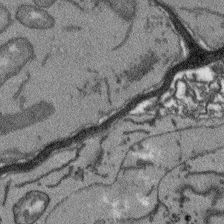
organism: Arabidopsis thaliana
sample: Root tip